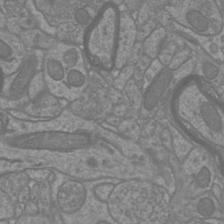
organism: Mouse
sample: Cortical neurons